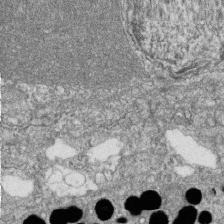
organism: Zebrafish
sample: Cilia; retinal pigment epithelium